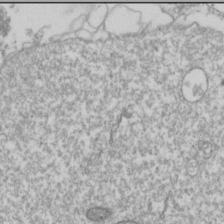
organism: Drosophila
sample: Cell division; meiosis; drosophila spermatocytes